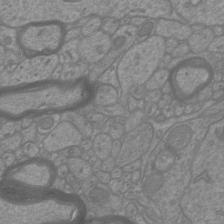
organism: Mouse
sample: Cortical neurons